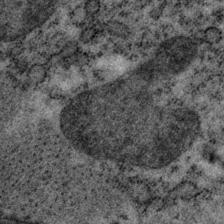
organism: P. pacificus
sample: Pharynx